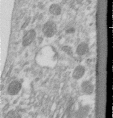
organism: Human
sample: Centriole in RPE cells